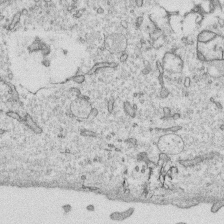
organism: Human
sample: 1205lu cells